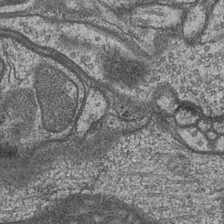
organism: Drosophila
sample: Optic medulla